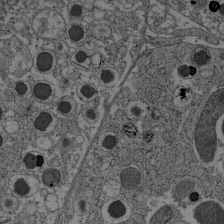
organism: C57BL Mouse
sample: Pancreatic islet